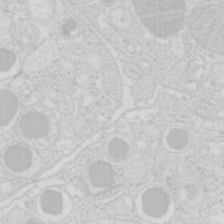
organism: Mouse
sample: Pancreas